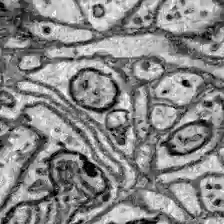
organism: Zebrafish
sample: Brain